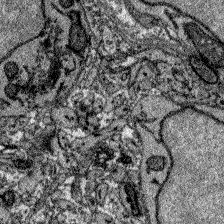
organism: Zebrafish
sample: Larval olfactory bulb